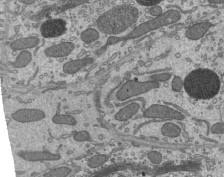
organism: Mouse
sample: Mouse epididymis efferent ductule cilia